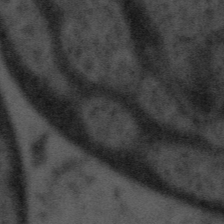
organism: Tuwongella immobilis